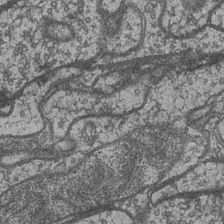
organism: Drosophila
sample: Optic medulla